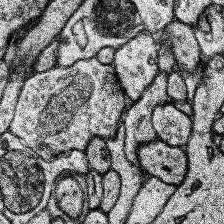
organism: Human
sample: Temporal Lobe